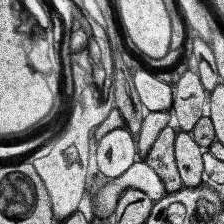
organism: Human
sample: Temporal Lobe